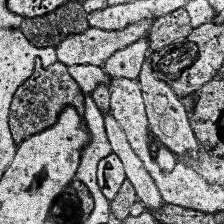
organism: Human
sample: Temporal Lobe